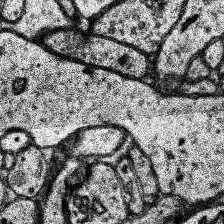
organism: Human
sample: Temporal Lobe